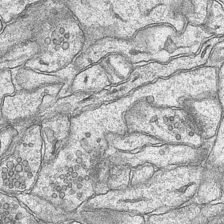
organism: Mouse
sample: CA1 Hippocampus